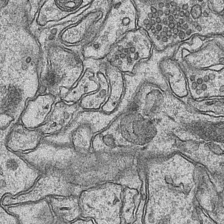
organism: Mouse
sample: CA1 Hippocampus